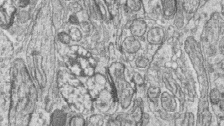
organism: Zebrafish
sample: synaptic ribbons in rod cells and cone cells